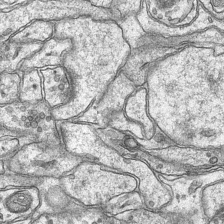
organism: Mouse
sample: CA1 Hippocampus